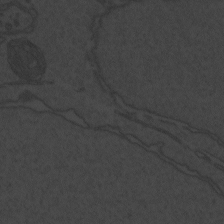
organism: Zebrafish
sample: Macrophage infected with Toxoplasma gondii